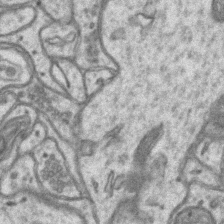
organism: Mouse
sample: CA1 Hippocampus